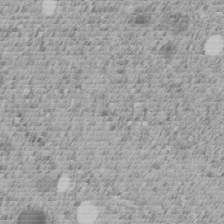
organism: C. elegans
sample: C. elegans embryo early stage